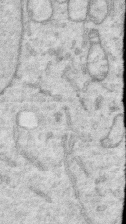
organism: Human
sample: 1205lu cells